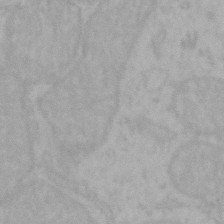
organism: Mouse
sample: Choroid plexus